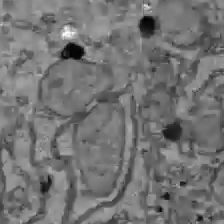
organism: C57BL Mouse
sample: Liver